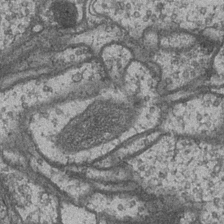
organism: Drosophila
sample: Optic medulla